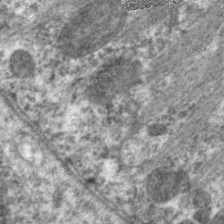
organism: C. elegans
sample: Pharynx